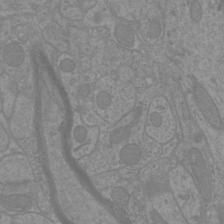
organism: Mouse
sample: Cortical neurons